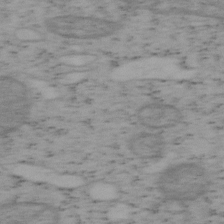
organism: Mouse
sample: OT-I killer T cells with ID8 ovarian cancer cells